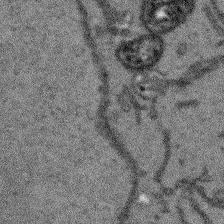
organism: Arabidopsis thaliana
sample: Root tip